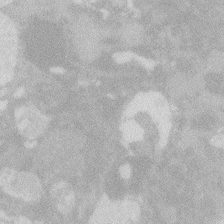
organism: Zebrafish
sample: Macrophage